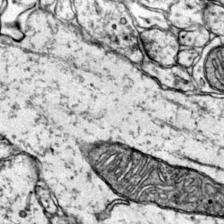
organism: Mouse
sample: Primary visual cortex